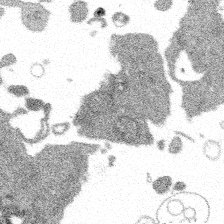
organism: Spongilla lacustris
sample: Multiple